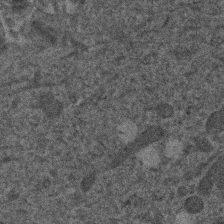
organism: Human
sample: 1205lu cells